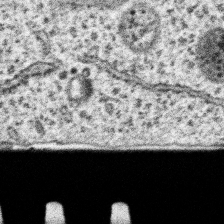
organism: Human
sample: HeLa cells